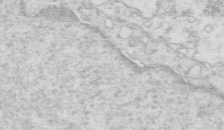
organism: Mouse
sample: Multiciliated cells